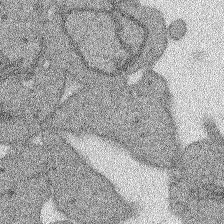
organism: Human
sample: HeLa cells